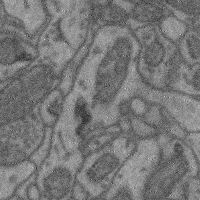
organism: Mouse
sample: Cerebral cortex